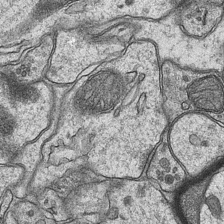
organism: Mouse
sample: CA1 Hippocampus